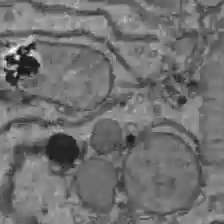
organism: C57BL Mouse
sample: Liver